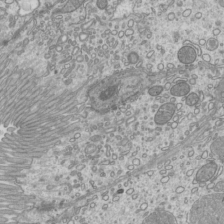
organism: Mouse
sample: Cilia; mouse epididymis